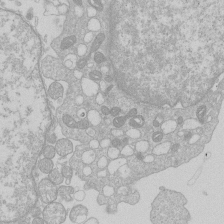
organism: Human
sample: Macrophage cells